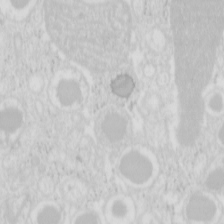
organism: Mouse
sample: Pancreas